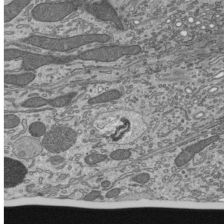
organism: Mouse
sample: Mouse epididymis efferent ductule cilia